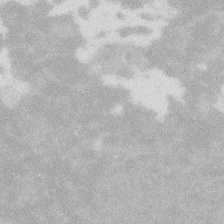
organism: Zebrafish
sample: Macrophage